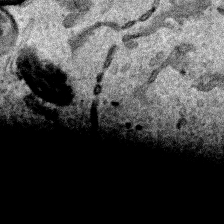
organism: Human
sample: Mitochondria in HCT116 cells